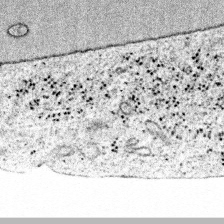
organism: Human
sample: HeLa cells